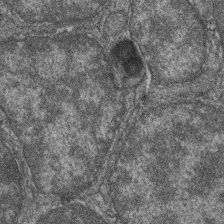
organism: Zebrafish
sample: Cilia; retinal pigment epithelium